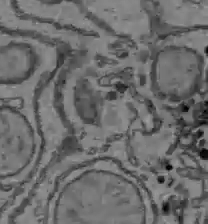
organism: C57BL Mouse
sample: Liver